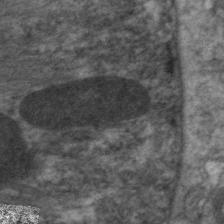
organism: C. elegans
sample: Pharynx